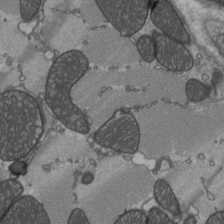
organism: C57BL Mouse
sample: Heart